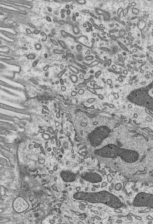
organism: Mouse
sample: Mouse epididymis efferent ductule cilia